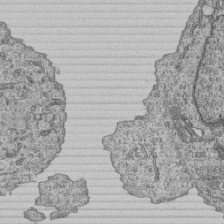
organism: Human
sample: MDA-MB-231 cells